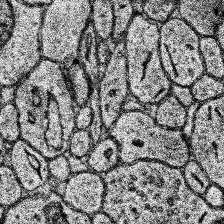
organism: Human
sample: Temporal Lobe